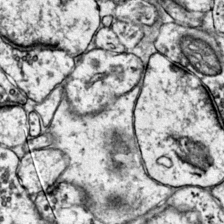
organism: Mouse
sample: Primary visual cortex